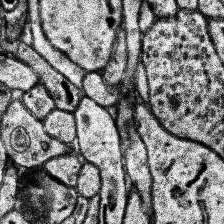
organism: Human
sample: Temporal Lobe